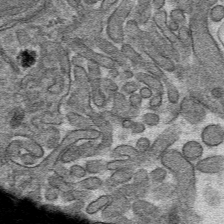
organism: Mouse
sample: Mouse hepatocytes